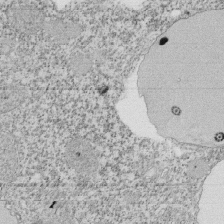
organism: Tetrahymena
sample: Cilia in tetrahymena